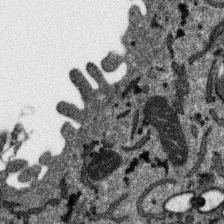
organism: Human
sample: Lung epithelial cells infected with SARS-CoV-2